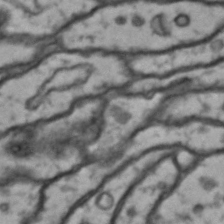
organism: Drosophila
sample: Brain